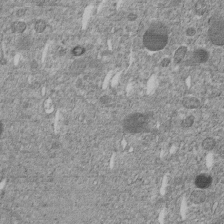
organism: C. elegans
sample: C. elegans embryo early stage